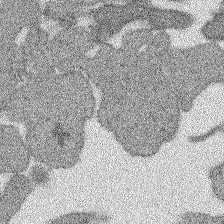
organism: Human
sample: HeLa cells